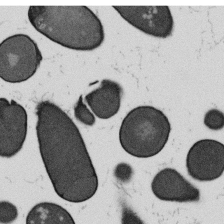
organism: B. subtilis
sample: Bacterial spore